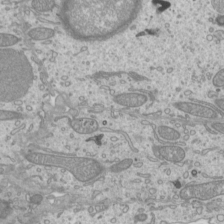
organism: Mouse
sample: Cilia; mouse epididymis